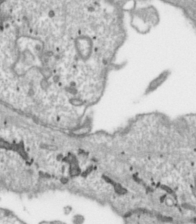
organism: Toxoplasma gondii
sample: Parasites in a vacuole inside a host cell